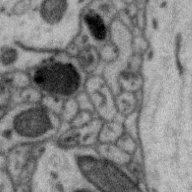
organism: Zebra finch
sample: Brain